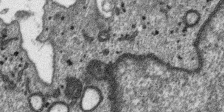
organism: Human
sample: Lung epithelial cells infected with SARS-CoV-2